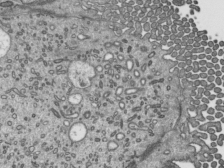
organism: Mouse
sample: Mouse epididymis efferent ductule cilia